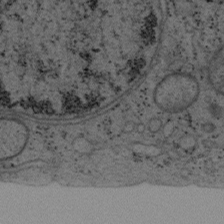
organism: Human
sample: HeLa cells